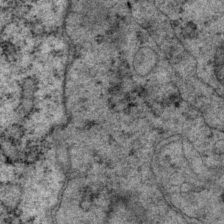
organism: P. pacificus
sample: Pharynx